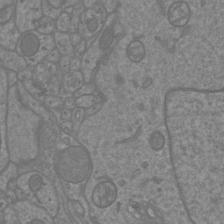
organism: Mouse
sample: Cortical neurons